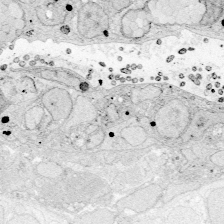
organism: Zebrafish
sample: Whole-Brain